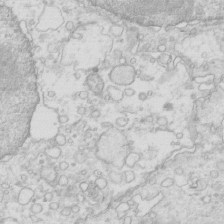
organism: Mouse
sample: Multiciliated cells